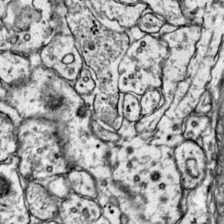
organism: Mouse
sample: Primary visual cortex